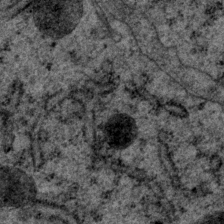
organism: P. pacificus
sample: Pharynx